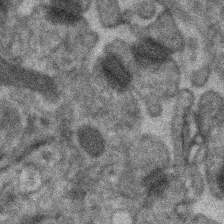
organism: Human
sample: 1205lu cells